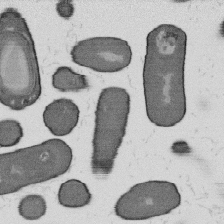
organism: B. subtilis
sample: Bacterial spore